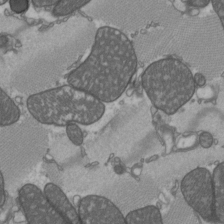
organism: C57BL Mouse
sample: Heart